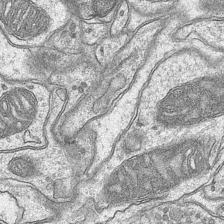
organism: Mouse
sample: CA1 Hippocampus